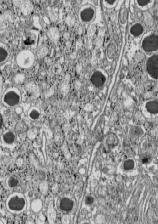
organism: C57BL Mouse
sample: Pancreatic islet